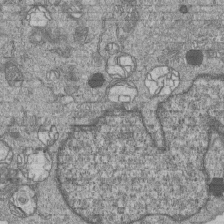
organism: Human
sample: MDA-MB-231 cells